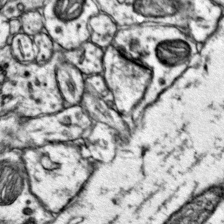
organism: Mouse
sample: Primary visual cortex